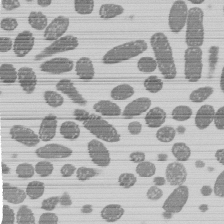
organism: E. coli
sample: Bacterial nucleoid